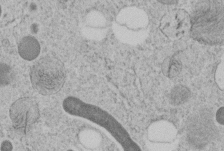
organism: C. elegans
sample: C. elegans embryo early stage